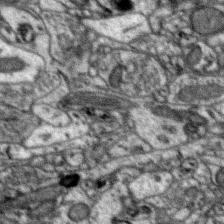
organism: Zebra finch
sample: Brain